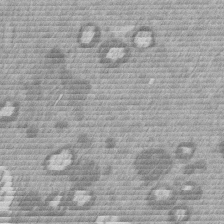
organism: Mouse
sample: Dividing mouse embryo 1 cell stage